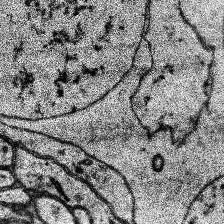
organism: Human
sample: Temporal Lobe